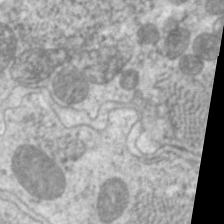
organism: C. elegans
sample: Pharynx